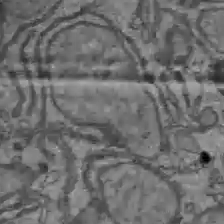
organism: C57BL Mouse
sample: Liver